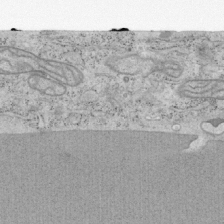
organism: Human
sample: HeLa cells